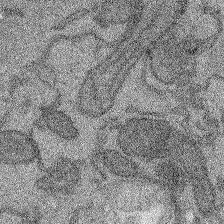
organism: Human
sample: HeLa cells